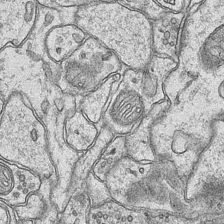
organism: Mouse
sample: CA1 Hippocampus